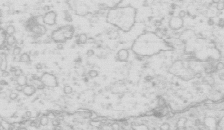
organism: Mouse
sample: Multiciliated cells